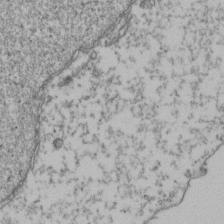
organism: Human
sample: Activated Jurkat CD4+ T cells